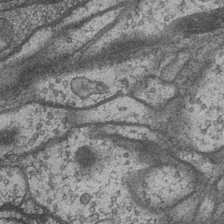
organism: Drosophila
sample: Optic medulla